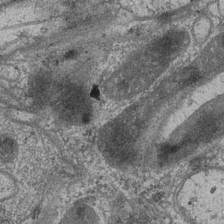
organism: Drosophila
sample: Optic medulla